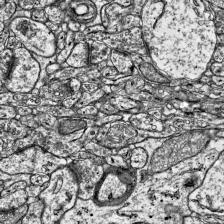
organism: Mouse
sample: Visual Cortex